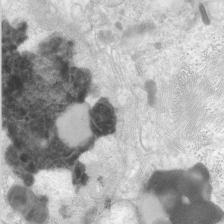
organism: Human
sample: Neocortex